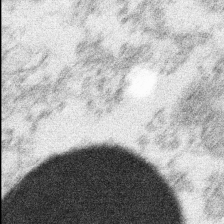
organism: Xenopus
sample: Cilia; centrioles in frog embryo cells